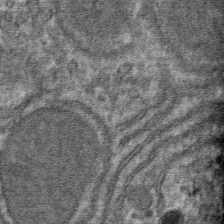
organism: Mouse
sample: Mouse hepatocytes